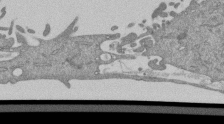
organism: Mouse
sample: ED-1 cell nuclei; centrioles